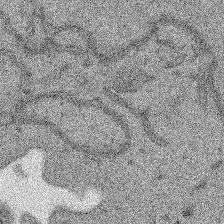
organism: Human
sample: HeLa cells